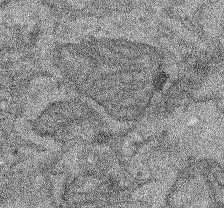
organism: Human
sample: HeLa cells